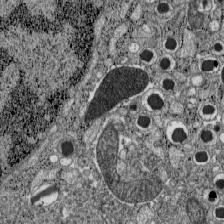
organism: C57BL Mouse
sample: Pancreatic islet